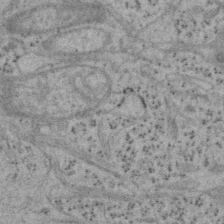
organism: Human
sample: HeLa cells